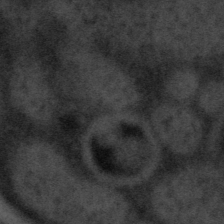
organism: Tuwongella immobilis